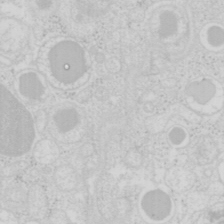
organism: Mouse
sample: Pancreas